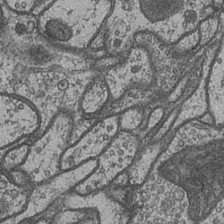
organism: Drosophila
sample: Optic medulla